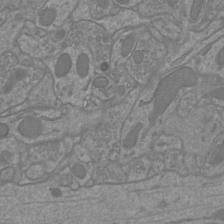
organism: Mouse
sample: Cortical neurons